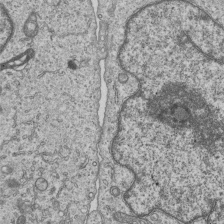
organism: Human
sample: MDA-MB-231 cells